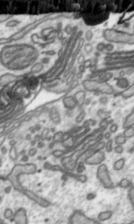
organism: Toxoplasma gondii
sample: Parasites in a vacuole inside a host cell